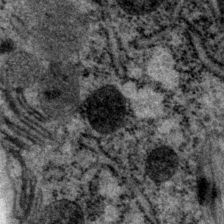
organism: P. pacificus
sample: Pharynx